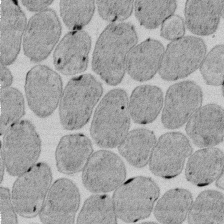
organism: E. coli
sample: Bacterial nucleoid